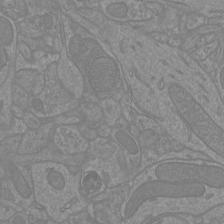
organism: Mouse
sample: Cortical neurons